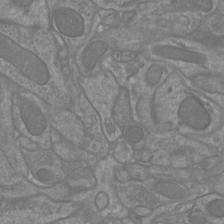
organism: Mouse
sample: Cortical neurons